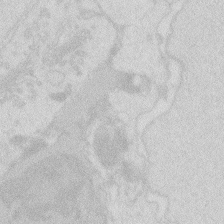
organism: Zebrafish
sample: Macrophage